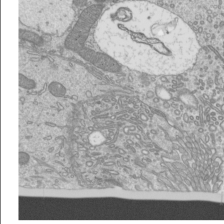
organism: Mouse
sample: Cilia; mouse epididymis